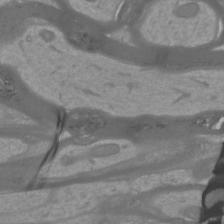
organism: Mouse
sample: Cortical neurons